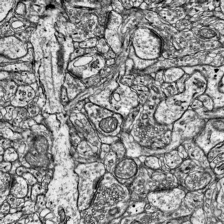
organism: Mouse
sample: Visual Cortex